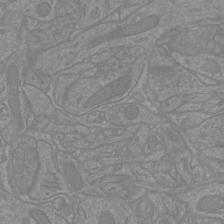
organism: Mouse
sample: Cortical neurons